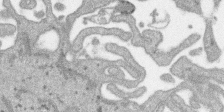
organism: Human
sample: Lung epithelial cells infected with SARS-CoV-2